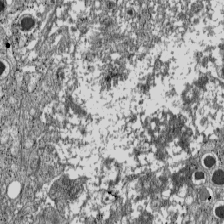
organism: C57BL Mouse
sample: Pancreatic islet